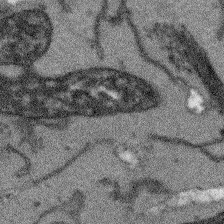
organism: Arabidopsis thaliana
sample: Root tip